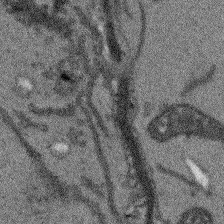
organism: Arabidopsis thaliana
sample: Root tip